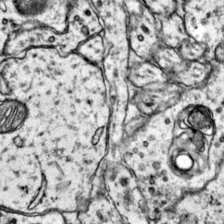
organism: Mouse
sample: Primary visual cortex